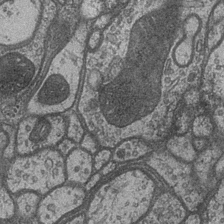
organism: Drosophila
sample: Optic medulla